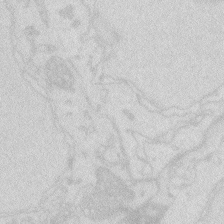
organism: Zebrafish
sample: Macrophage